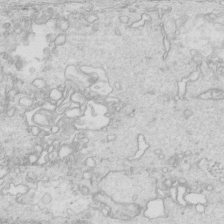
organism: Mouse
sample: Multiciliated cells